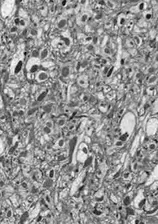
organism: Drosophila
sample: Optic lobe